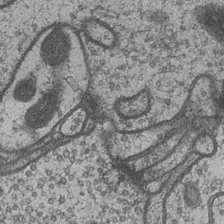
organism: Drosophila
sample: Optic medulla